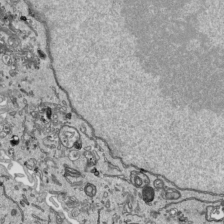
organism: Human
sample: Mitochondria in HCT116 cells